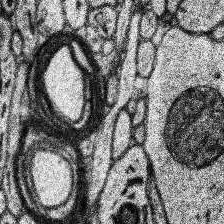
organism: Human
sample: Temporal Lobe